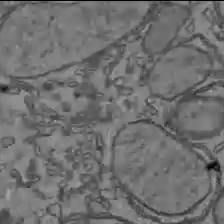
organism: C57BL Mouse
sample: Liver